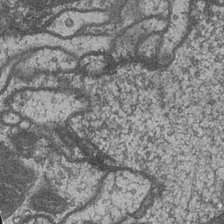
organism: Drosophila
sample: Optic medulla